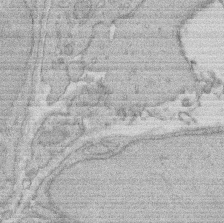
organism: Rat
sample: Salivary granule